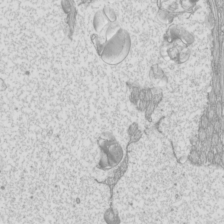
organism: Mouse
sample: Cilia; mouse epididymis